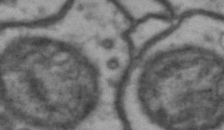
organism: Drosophila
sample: Brain